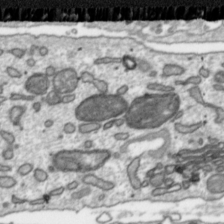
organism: Toxoplasma gondii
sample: Parasites in a vacuole inside a host cell